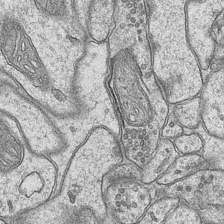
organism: Mouse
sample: CA1 Hippocampus